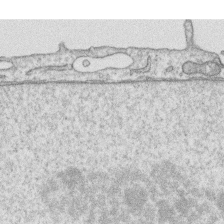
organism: Human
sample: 1205lu cells